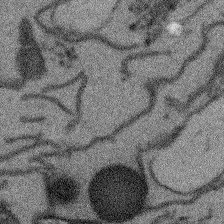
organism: Arabidopsis thaliana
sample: Root tip